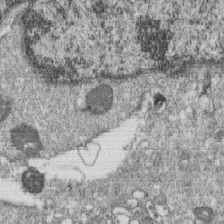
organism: African green monkey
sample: Vero E6 cells infected with SARS-CoV-2